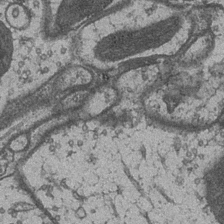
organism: Drosophila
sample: Optic medulla